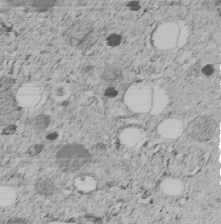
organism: C. elegans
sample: C. elegans embryo early stage